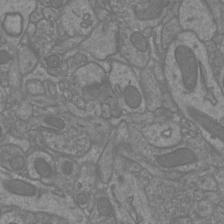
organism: Mouse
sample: Cortical neurons